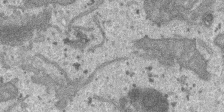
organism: Human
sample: Lung epithelial cells infected with SARS-CoV-2